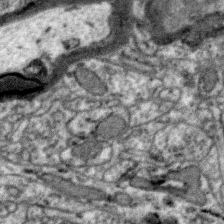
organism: Zebra finch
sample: Brain